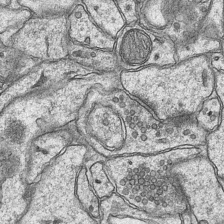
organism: Mouse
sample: CA1 Hippocampus